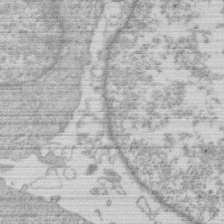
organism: Human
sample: Macrophage cells